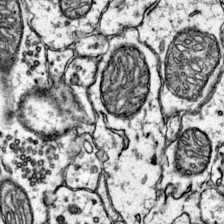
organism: Mouse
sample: Primary visual cortex